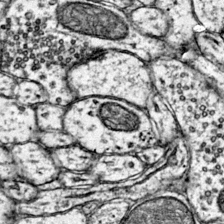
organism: Mouse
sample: Primary visual cortex